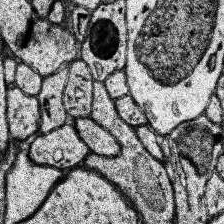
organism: Human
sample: Temporal Lobe